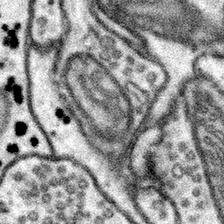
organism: Mouse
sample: Somatosensory cortex neuropil